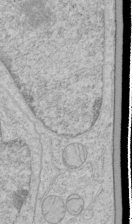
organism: Human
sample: Mitochondria in HCT116 cells